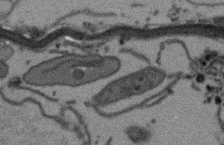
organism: Arabidopsis thaliana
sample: Root tip